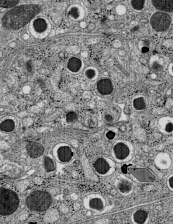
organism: C57BL Mouse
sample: Pancreatic islet